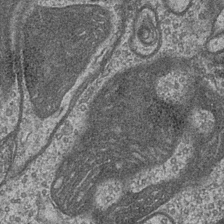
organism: Drosophila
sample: Optic medulla